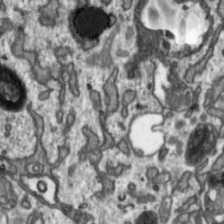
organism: Toxoplasma gondii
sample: Parasites in a vacuole inside a host cell